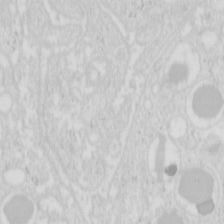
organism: Mouse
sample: Pancreas